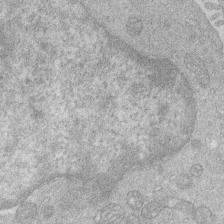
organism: Human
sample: Macrophage cells